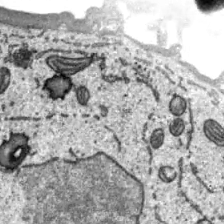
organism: Human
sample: HeLa cells